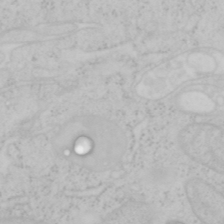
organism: Mouse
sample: OT-I killer T cells with ID8 ovarian cancer cells